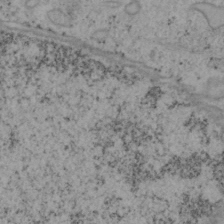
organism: Human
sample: HeLa cells